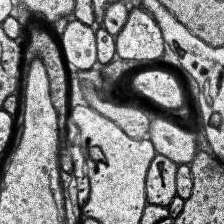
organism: Human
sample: Temporal Lobe